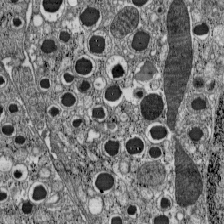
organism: C57BL Mouse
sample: Pancreatic islet